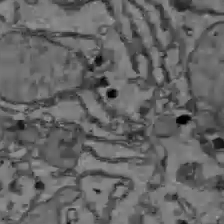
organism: C57BL Mouse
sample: Liver